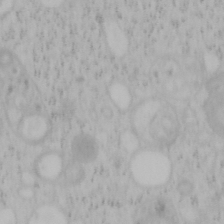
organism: Mouse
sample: OT-I killer T cells with ID8 ovarian cancer cells